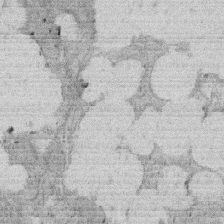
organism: Rat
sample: Salivary granule